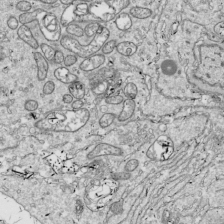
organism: Drosophila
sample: Cell division; meiosis; drosophila spermatocytes